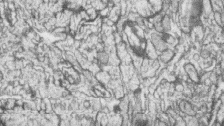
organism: Zebrafish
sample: synaptic ribbons in rod cells and cone cells